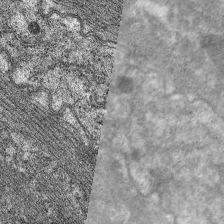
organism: C. elegans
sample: Pharynx